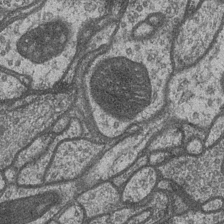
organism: Drosophila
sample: Optic medulla